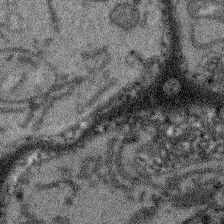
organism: Arabidopsis thaliana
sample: Root tip